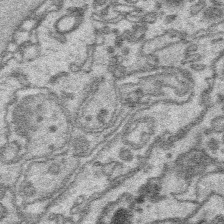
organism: Platynereis dumerilii